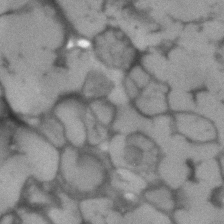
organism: Human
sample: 1205lu cells